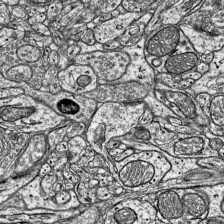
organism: Mouse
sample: Visual Cortex